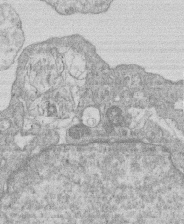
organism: Human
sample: Macrophage cells